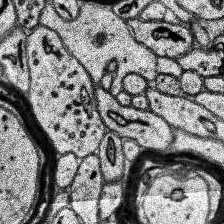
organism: Human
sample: Temporal Lobe